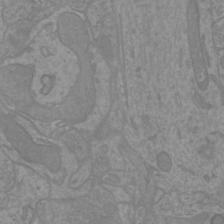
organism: Mouse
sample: Cortical neurons